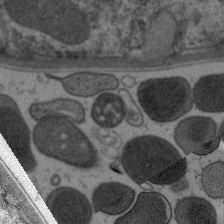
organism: C. elegans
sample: Pharynx